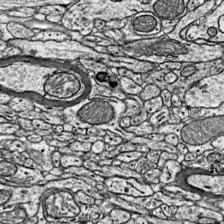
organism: Mouse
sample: Visual Cortex